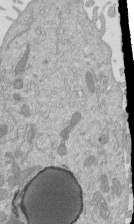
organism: Mouse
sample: ED-1 cell nuclei; centrioles